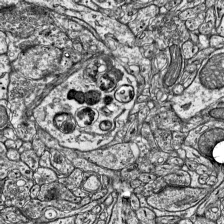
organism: Mouse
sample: Visual Cortex